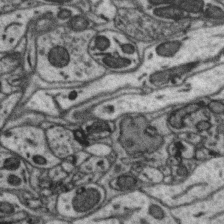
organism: Zebra finch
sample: Brain